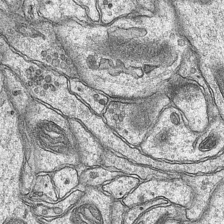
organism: Mouse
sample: CA1 Hippocampus